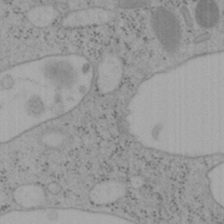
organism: Mouse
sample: OT-I killer T cells with ID8 ovarian cancer cells